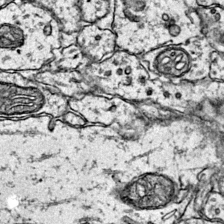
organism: Mouse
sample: Primary visual cortex